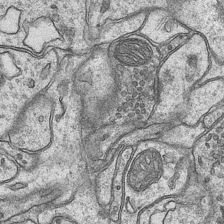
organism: Mouse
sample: CA1 Hippocampus